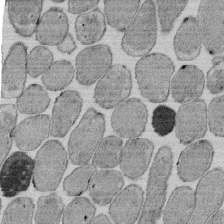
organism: E. coli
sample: Bacterial nucleoid